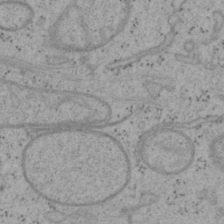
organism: Human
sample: HeLa cells